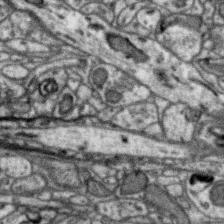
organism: Zebra finch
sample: Brain